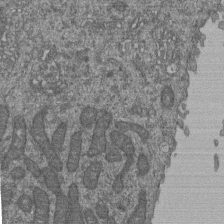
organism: Human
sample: Retinal organoid Rod and Cone cells